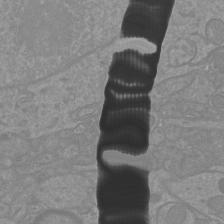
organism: Mouse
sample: Cortical neurons